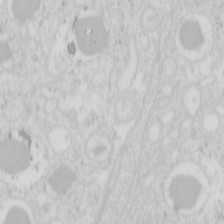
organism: Mouse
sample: Pancreas